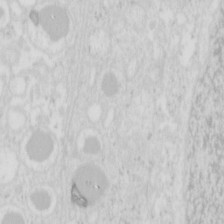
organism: Mouse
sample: Pancreas